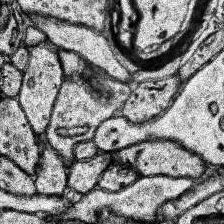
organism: Human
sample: Temporal Lobe